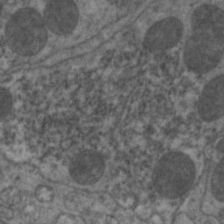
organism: C. elegans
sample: Pharynx